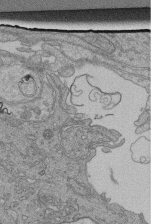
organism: Human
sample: Retinal organoid Rod and Cone cells